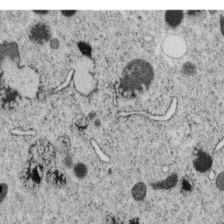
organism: C. elegans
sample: C. elegans oocyte; sperm cells